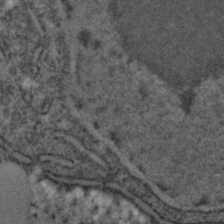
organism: C. elegans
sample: C. elegans embryo